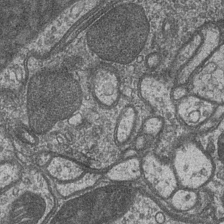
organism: Drosophila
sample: Optic medulla